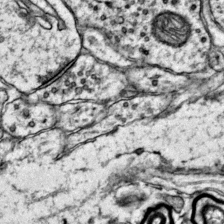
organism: Mouse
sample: Primary visual cortex